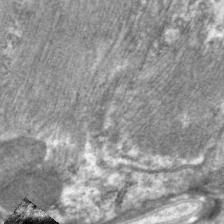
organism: C. elegans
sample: Pharynx